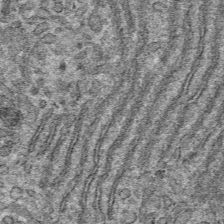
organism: Mouse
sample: Mouse hepatocytes